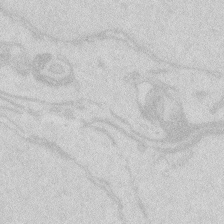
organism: Zebrafish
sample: Macrophage